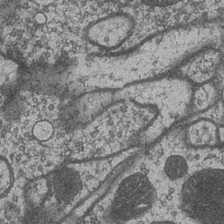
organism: Drosophila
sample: Optic medulla